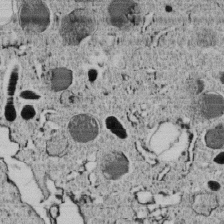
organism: C. elegans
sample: C. elegans embryo early stage